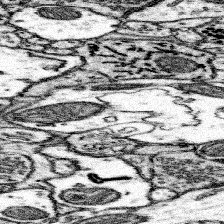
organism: Mouse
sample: Somatosensory cortex neuropil